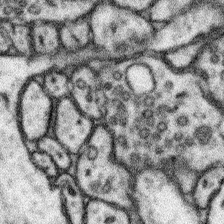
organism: Mouse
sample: Somatosensory cortex neuropil